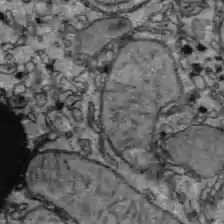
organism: C57BL Mouse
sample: Liver